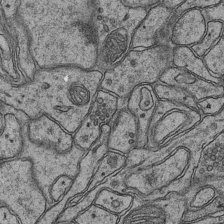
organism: Mouse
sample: CA1 Hippocampus